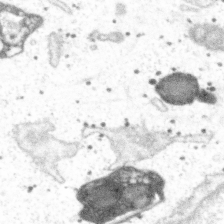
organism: Human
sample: HeLa cells